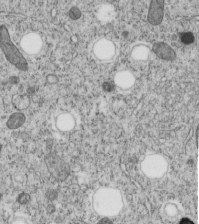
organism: C. elegans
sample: C. elegans embryo early stage